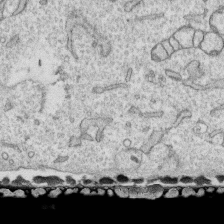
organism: Human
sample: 1205lu cells